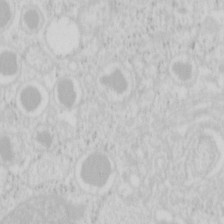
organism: Mouse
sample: Pancreas